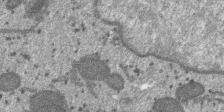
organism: Human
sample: Lung epithelial cells infected with SARS-CoV-2